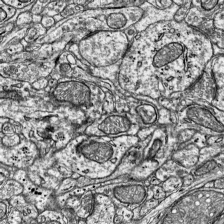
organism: Mouse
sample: Visual Cortex